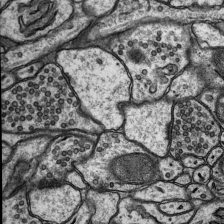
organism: Rat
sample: Hippocampus